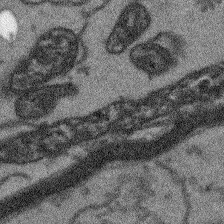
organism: Arabidopsis thaliana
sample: Root tip